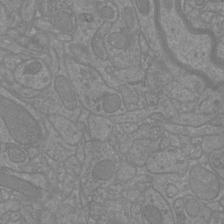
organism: Mouse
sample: Cortical neurons